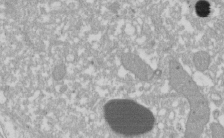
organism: Xenopus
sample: Cilia; centrioles in frog embryo cells